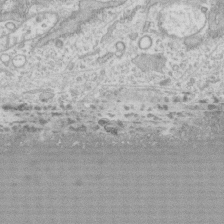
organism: Human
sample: CRL-1474